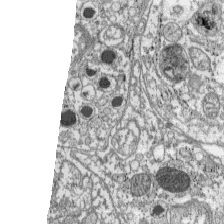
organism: C57BL Mouse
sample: Pancreatic islet